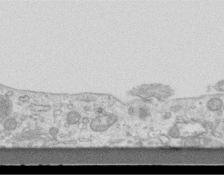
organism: Mouse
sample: Centriole in ependymal cells